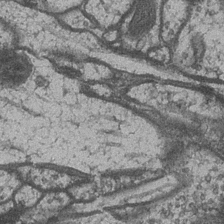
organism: Drosophila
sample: Optic medulla